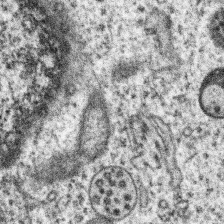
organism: Human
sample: HeLa cells